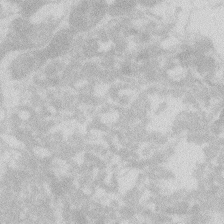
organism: Zebrafish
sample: Macrophage